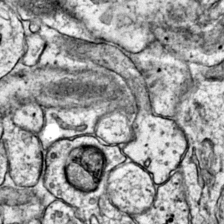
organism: Mouse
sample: Primary visual cortex